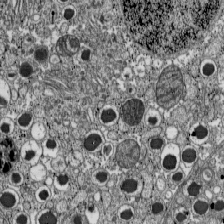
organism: C57BL Mouse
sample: Pancreatic islet